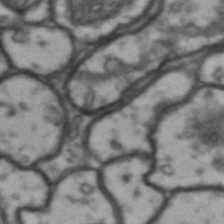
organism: Drosophila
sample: Brain